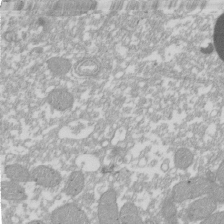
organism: Xenopus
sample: Cilia; centrioles in frog embryo cells